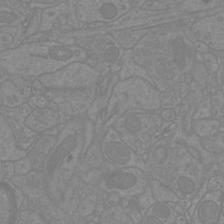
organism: Mouse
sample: Cortical neurons